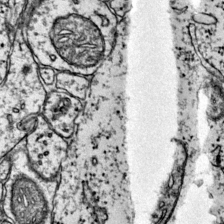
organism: Mouse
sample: Primary visual cortex